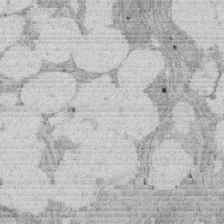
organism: Rat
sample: Salivary granule